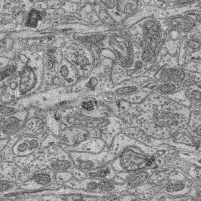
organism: Mouse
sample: Retina